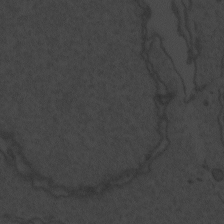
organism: Zebrafish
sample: Macrophage infected with Toxoplasma gondii